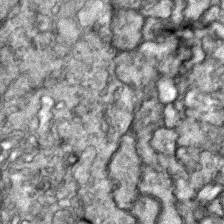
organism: Zebrafish